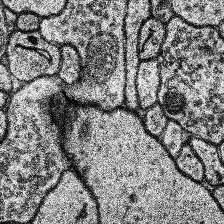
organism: Human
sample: Temporal Lobe